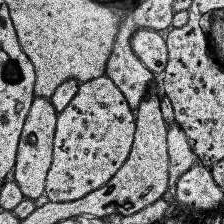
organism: Human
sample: Temporal Lobe